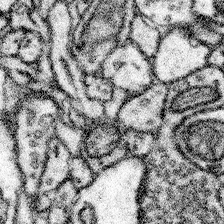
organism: Mouse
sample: Somatosensory cortex neuropil